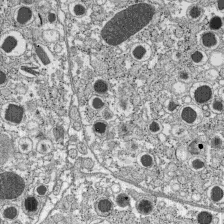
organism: C57BL Mouse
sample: Pancreatic islet